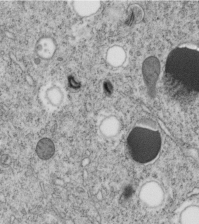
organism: C. elegans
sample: C. elegans embryo early stage